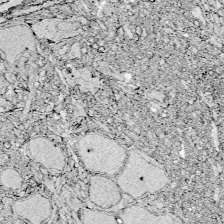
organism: Zebrafish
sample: Whole-Brain